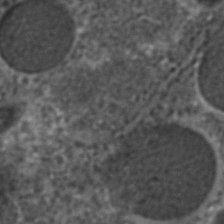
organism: C. elegans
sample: C. elegans embryo